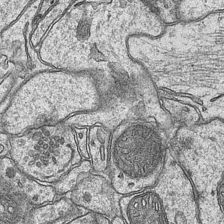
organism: Mouse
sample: CA1 Hippocampus